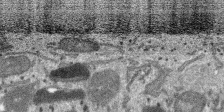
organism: Human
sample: Lung epithelial cells infected with SARS-CoV-2